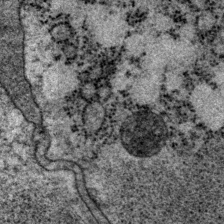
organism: P. pacificus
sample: Pharynx